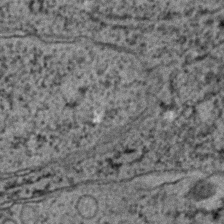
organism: C. elegans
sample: C. elegans embryo